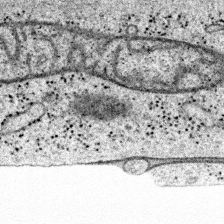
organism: Human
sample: HeLa cells